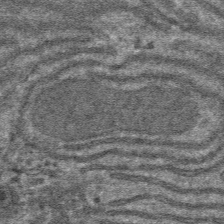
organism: Mouse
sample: Mouse hepatocytes